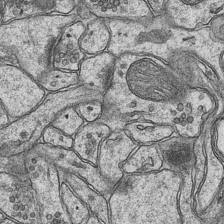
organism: Mouse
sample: CA1 Hippocampus